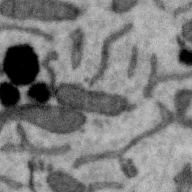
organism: Zebra finch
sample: Brain